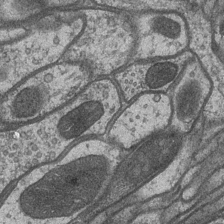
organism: Drosophila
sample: Optic medulla